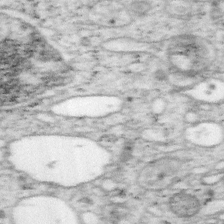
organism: Mouse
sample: OT-I killer T cells with ID8 ovarian cancer cells